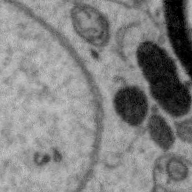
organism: Zebra finch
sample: Brain